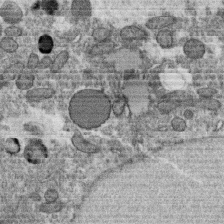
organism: C. elegans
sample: C. elegans oocyte; sperm cells